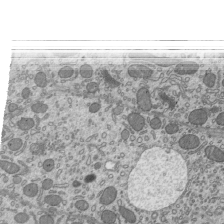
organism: Mouse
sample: Mouse epididymis efferent ductule cilia